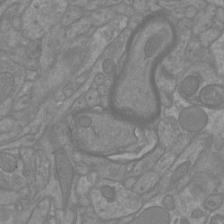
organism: Mouse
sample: Cortical neurons